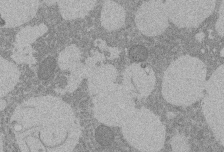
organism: Rat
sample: Salivary granule